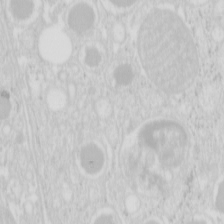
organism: Mouse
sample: Pancreas